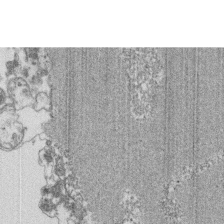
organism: Human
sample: HeLa cell HIV synapse